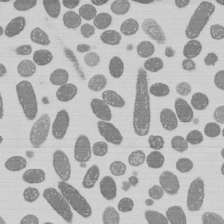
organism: E. coli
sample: Bacterial nucleoid